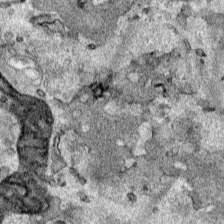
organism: Human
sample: Mitochondria in HCT116 cells